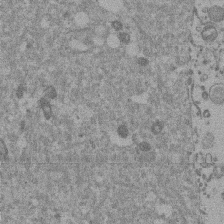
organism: Mouse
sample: Dividing mouse embryo 1 cell stage